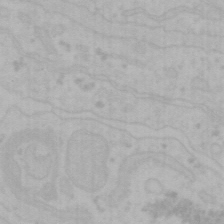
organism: Mouse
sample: Choroid plexus